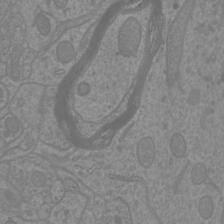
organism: Mouse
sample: Cortical neurons